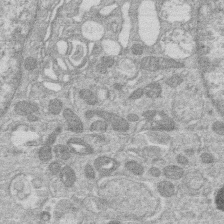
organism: Human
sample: Macrophage cells